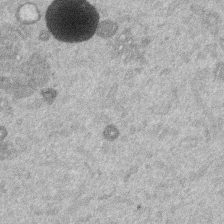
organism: Mouse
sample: Dividing mouse embryo 1 cell stage